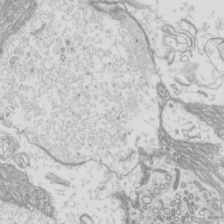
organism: Mouse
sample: Cilia; mouse epididymis